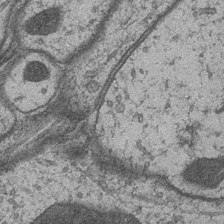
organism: Drosophila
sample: Optic medulla